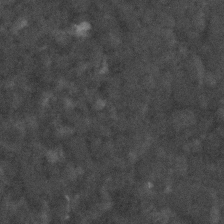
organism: C. elegans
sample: C. elegans embryo